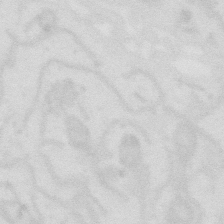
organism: Human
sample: HeLa cells